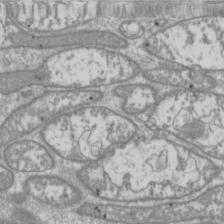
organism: Drosophila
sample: Cell division; meiosis; drosophila spermatocytes